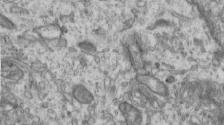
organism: Human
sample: Centriole in RPE cells